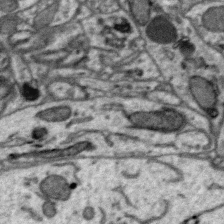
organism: Zebra finch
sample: Brain